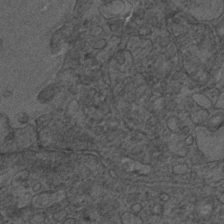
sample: Trachea